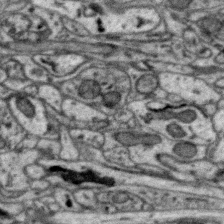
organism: Zebra finch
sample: Brain